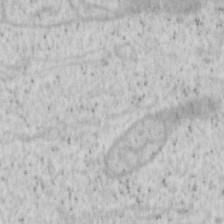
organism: Human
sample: HeLa cells